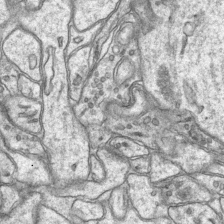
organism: Mouse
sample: CA1 Hippocampus